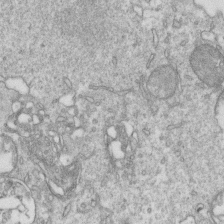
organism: Mouse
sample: Activated OT-1 CD8+ T cells